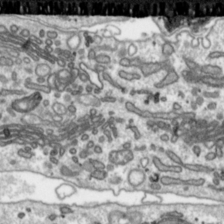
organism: Toxoplasma gondii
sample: Parasites in a vacuole inside a host cell